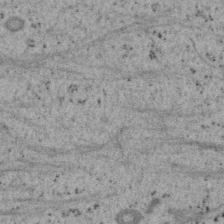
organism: Human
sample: HeLa cells